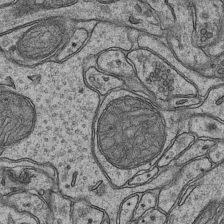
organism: Mouse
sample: CA1 Hippocampus